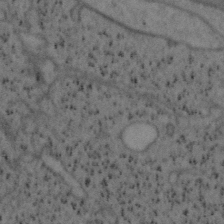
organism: Human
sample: HeLa cells